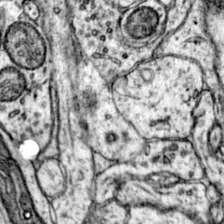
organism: Mouse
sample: Primary visual cortex